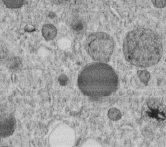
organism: C. elegans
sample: C. elegans embryo early stage